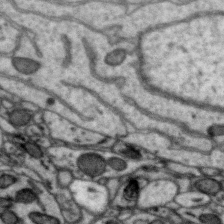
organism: Zebra finch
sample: Brain